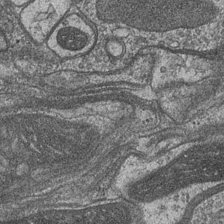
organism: Drosophila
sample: Optic medulla